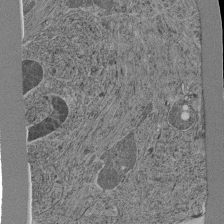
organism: C. elegans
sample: C. elegans pharynx